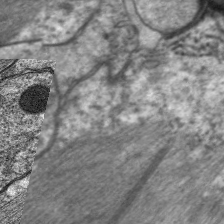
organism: C. elegans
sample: Pharynx